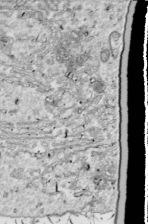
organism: Drosophila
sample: Cell division; meiosis; drosophila spermatocytes